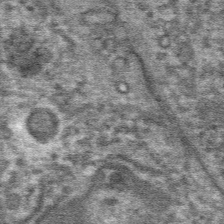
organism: Mouse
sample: Mouse hepatocytes